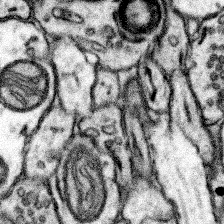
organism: Mouse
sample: Somatosensory cortex neuropil